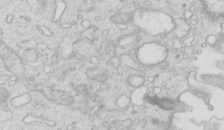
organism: Mouse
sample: Multiciliated cells